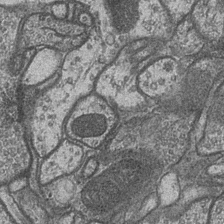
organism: Drosophila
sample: Optic medulla